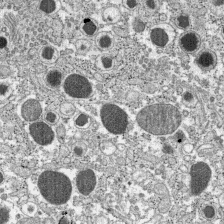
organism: C57BL Mouse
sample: Pancreatic islet